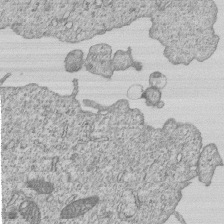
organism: Human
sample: MDA-MB-231 cells